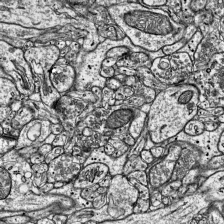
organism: Mouse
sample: Visual Cortex